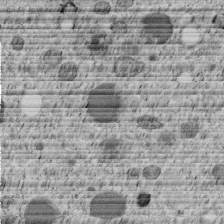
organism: C. elegans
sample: C. elegans embryo early stage